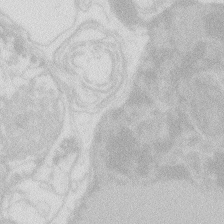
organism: Zebrafish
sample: Macrophage